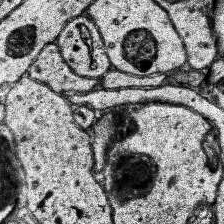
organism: Human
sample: Temporal Lobe